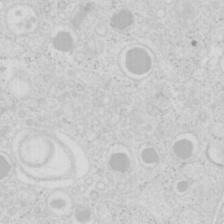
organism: Mouse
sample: Pancreas